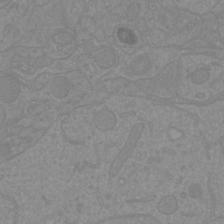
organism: Mouse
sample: Cortical neurons